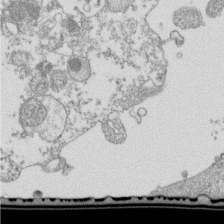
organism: Human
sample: HeLa cell HIV synapse